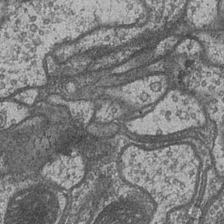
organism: Drosophila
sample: Optic medulla